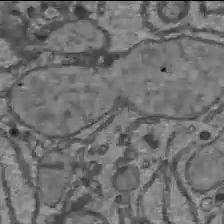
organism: C57BL Mouse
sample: Liver